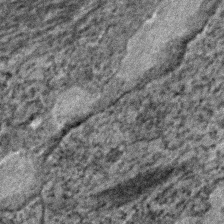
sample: Trachea